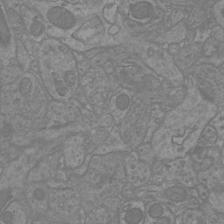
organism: Mouse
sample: Cortical neurons